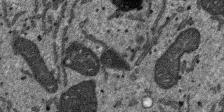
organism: Human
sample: Lung epithelial cells infected with SARS-CoV-2